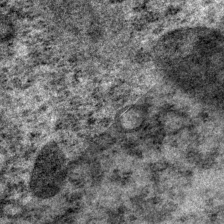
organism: P. pacificus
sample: Pharynx